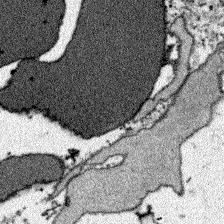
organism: Zebrafish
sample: Larval olfactory bulb